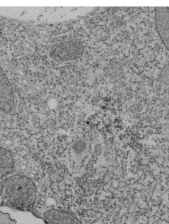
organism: Tetrahymena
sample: Cilia in tetrahymena